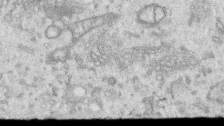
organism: Human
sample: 1205lu cells